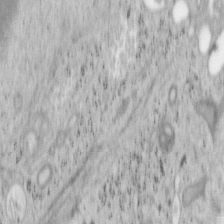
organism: Human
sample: HeLa cells